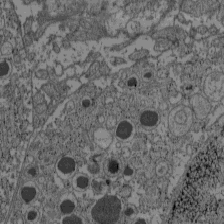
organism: C57BL Mouse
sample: Pancreatic islet